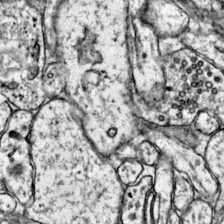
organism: Mouse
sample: Primary visual cortex